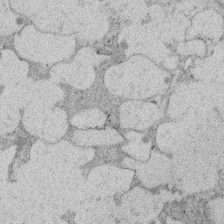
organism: Rat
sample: Salivary granule